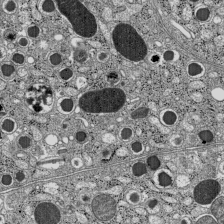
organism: C57BL Mouse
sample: Pancreatic islet